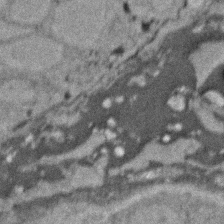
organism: Zebrafish